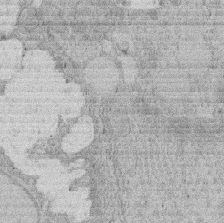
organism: Rat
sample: Salivary granule